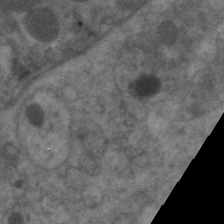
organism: C. elegans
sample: Pharynx